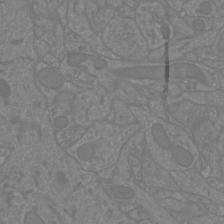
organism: Mouse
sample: Cortical neurons